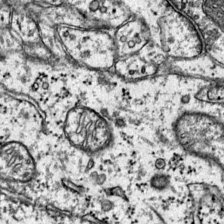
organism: Mouse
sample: Primary visual cortex